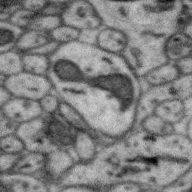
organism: Zebra finch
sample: Brain